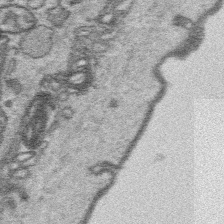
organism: Platynereis dumerilii